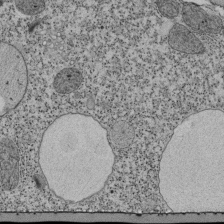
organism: Tetrahymena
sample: Cilia in tetrahymena